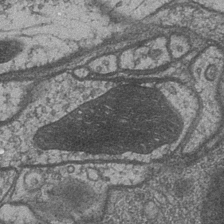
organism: Drosophila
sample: Optic medulla